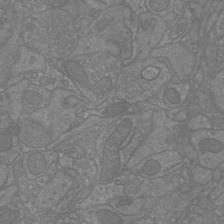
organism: Mouse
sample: Cortical neurons